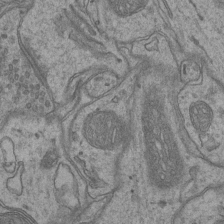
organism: Mouse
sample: CA1 Hippocampus